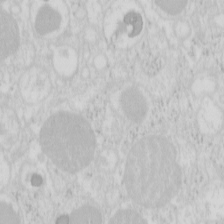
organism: Mouse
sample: Pancreas